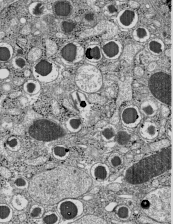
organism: C57BL Mouse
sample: Pancreatic islet